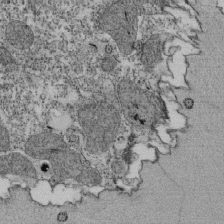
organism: Tetrahymena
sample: Cilia in tetrahymena